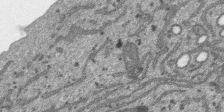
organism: Human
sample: Lung epithelial cells infected with SARS-CoV-2